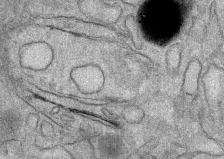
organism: Mouse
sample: Mouse Salivary gland